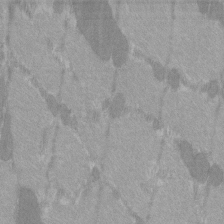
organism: C57BL Mouse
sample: Tibialis anterior muscle cell